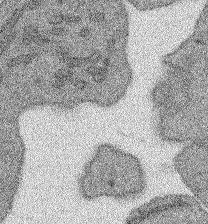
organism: Human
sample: HeLa cells